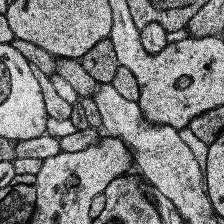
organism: Human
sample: Temporal Lobe